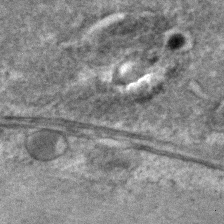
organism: C. elegans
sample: C. elegans embryo